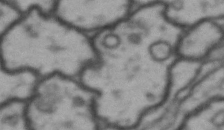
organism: Drosophila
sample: Brain